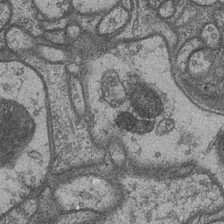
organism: Drosophila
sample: Optic medulla